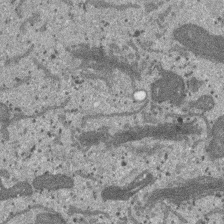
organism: Human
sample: Lung epithelial cells infected with SARS-CoV-2